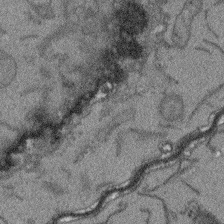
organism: Arabidopsis thaliana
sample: Root tip